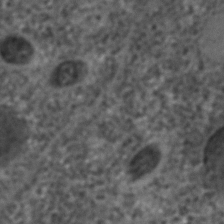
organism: C. elegans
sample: C. elegans embryo